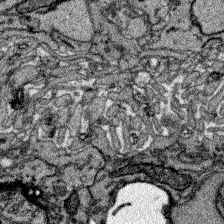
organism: Zebrafish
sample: Larval olfactory bulb